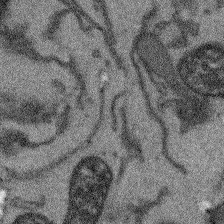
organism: Arabidopsis thaliana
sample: Root tip